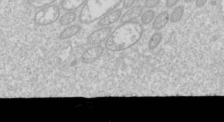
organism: Drosophila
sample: Cell division; meiosis; drosophila spermatocytes